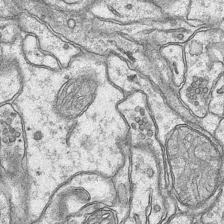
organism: Mouse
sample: CA1 Hippocampus